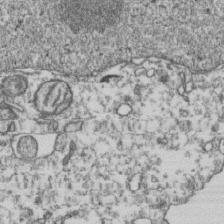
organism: Human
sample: Activated Jurkat CD4+ T cells